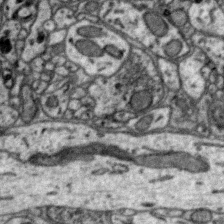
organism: Zebra finch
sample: Brain